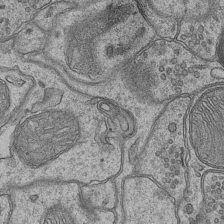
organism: Mouse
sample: CA1 Hippocampus